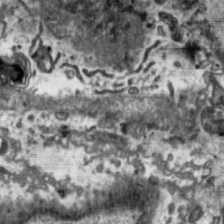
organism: Toxoplasma gondii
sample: Parasites in a vacuole inside a host cell